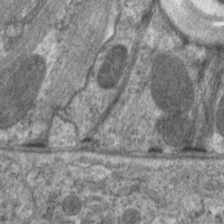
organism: C. elegans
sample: Pharynx